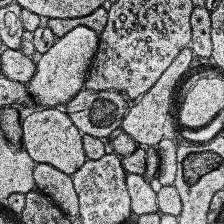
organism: Human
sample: Temporal Lobe